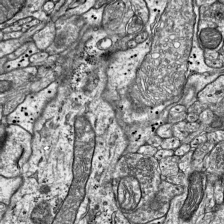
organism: Mouse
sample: Visual Cortex